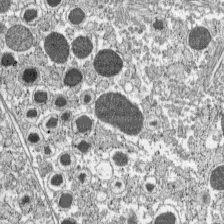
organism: C57BL Mouse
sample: Pancreatic islet